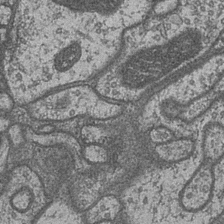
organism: Drosophila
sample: Optic medulla